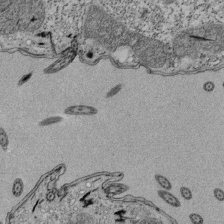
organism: Tetrahymena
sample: Cilia in tetrahymena